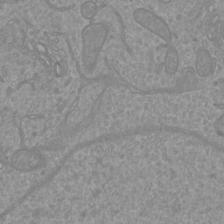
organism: Mouse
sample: Cortical neurons